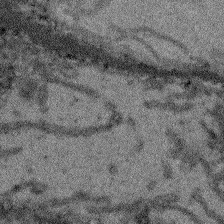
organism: Arabidopsis thaliana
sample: Root tip